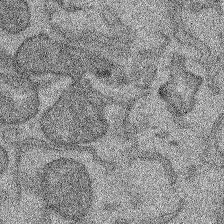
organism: Human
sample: HeLa cells